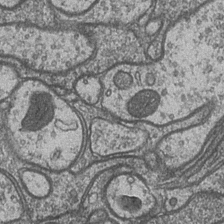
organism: Drosophila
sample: Optic medulla